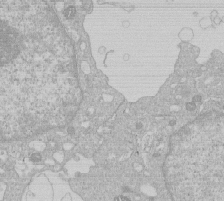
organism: Human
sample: Macrophage cells